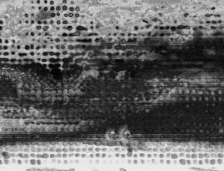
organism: Human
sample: Mitochondria in HCT116 cells